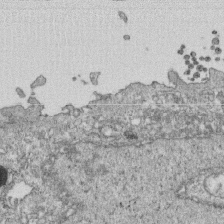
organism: Human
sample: HeLa cell HIV synapse